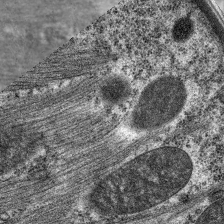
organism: C. elegans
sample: Pharynx